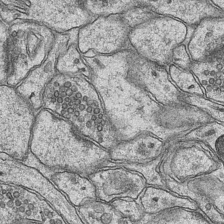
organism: Mouse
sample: CA1 Hippocampus